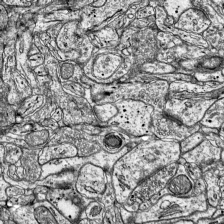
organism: Mouse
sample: Visual Cortex